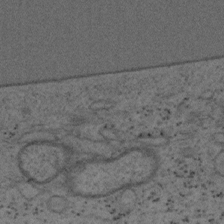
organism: Human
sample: HeLa cells